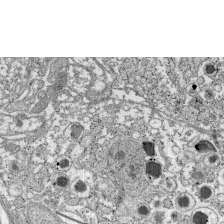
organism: C57BL Mouse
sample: Pancreatic islet